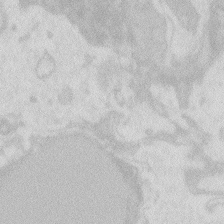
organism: Zebrafish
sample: Macrophage